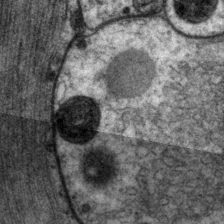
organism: P. pacificus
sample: Pharynx